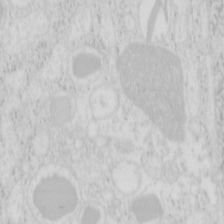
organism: Mouse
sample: Pancreas